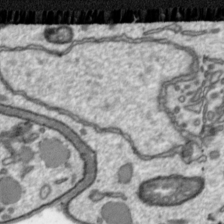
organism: Toxoplasma gondii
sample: Parasites in a vacuole inside a host cell